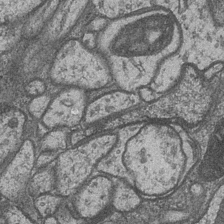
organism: Drosophila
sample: Optic medulla